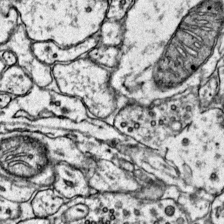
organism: Mouse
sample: Primary visual cortex